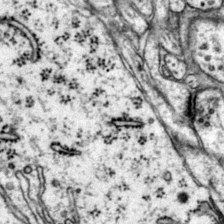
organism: Mouse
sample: Primary visual cortex